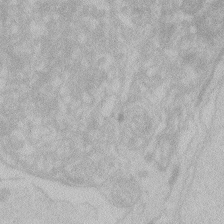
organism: Zebrafish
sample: Macrophage infected with Toxoplasma gondii